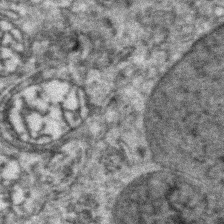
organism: Zebrafish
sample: Zebrafish embryo